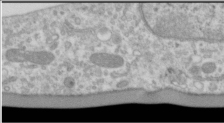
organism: Human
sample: Cilia; basal body in RPE cells